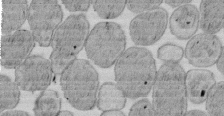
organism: E. coli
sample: Bacterial nucleoid